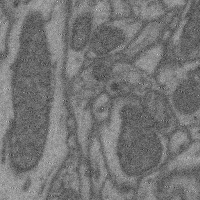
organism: Mouse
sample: Cerebral cortex